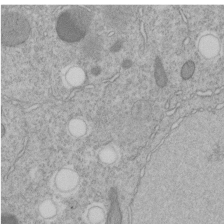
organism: C. elegans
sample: C. elegans embryo early stage